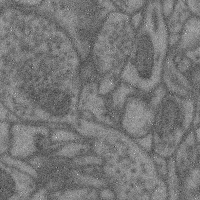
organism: Mouse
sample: Cerebral cortex